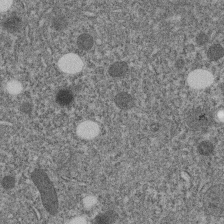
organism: C. elegans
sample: C. elegans embryo early stage